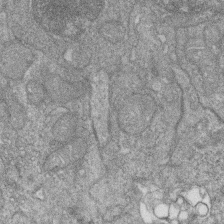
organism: Zebrafish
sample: Cilia; retinal pigment epithelium